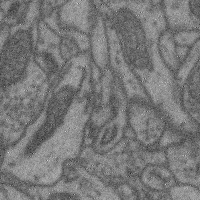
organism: Mouse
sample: Cerebral cortex